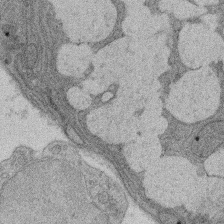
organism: Rat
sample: Salivary granule